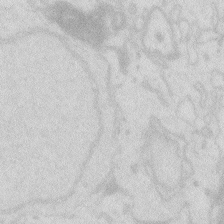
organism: Zebrafish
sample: Macrophage